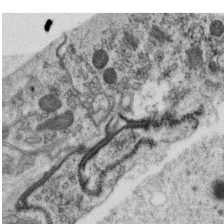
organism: C. elegans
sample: C. elegans oocyte; sperm cells